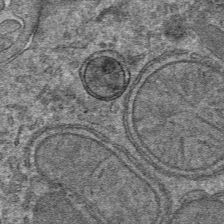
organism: Mouse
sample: Mouse hepatocytes